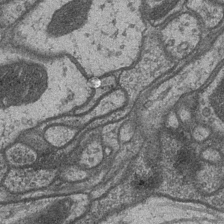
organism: Drosophila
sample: Optic medulla